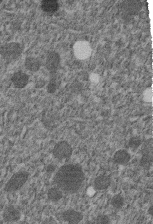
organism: C. elegans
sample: C. elegans embryo early stage